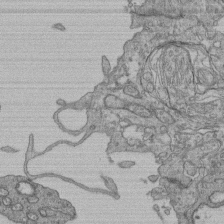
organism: Human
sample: Retinal organoid Rod and Cone cells